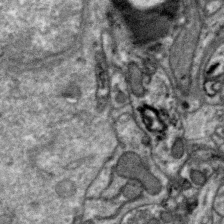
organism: Zebra finch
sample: Brain